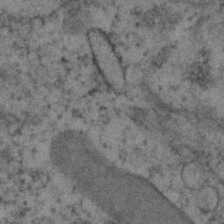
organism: Human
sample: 1205lu cells